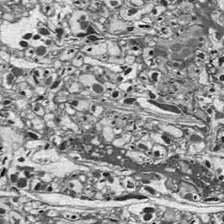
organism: Drosophila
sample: Optic lobe